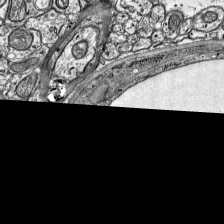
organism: Mouse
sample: Visual Cortex